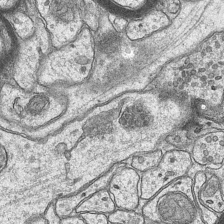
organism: Mouse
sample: CA1 Hippocampus